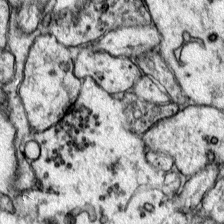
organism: Mouse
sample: Primary visual cortex